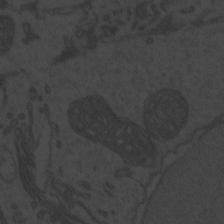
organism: Zebrafish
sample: Macrophage infected with Toxoplasma gondii